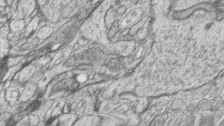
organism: Zebrafish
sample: synaptic ribbons in rod cells and cone cells